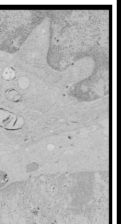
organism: Human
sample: Mitochondria in HCT116 cells